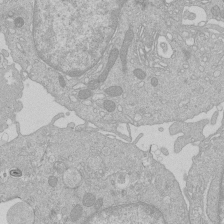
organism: Human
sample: Macrophage cells